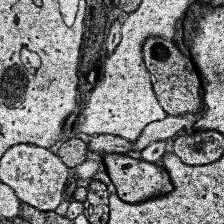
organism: Human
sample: Temporal Lobe